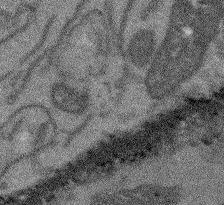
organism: Arabidopsis thaliana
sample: Root tip